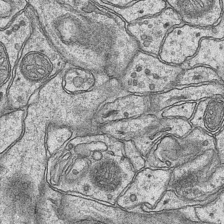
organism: Mouse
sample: CA1 Hippocampus